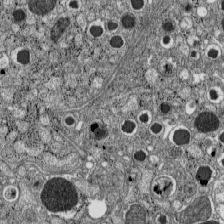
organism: C57BL Mouse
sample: Pancreatic islet